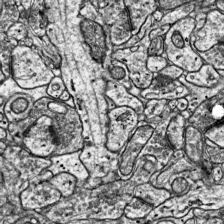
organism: Mouse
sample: Visual Cortex